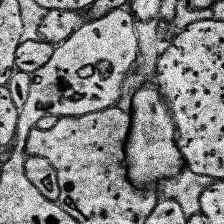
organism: Human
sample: Temporal Lobe